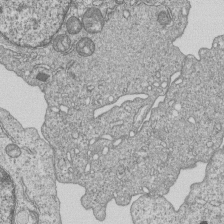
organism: Human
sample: MDA-MB-231 cells